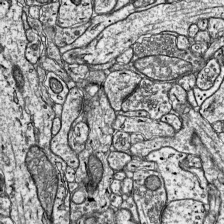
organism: Mouse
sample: Visual Cortex